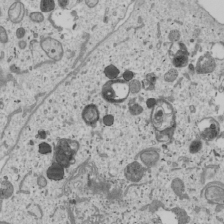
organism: Human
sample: Mitochondria in U2OS cells